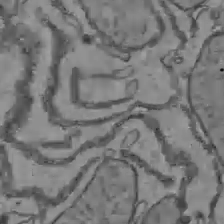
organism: C57BL Mouse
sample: Liver